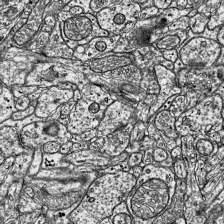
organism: Mouse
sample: Visual Cortex